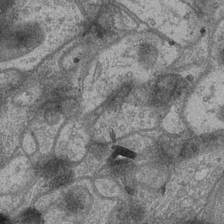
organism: Drosophila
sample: Optic medulla